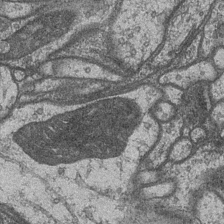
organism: Drosophila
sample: Optic medulla